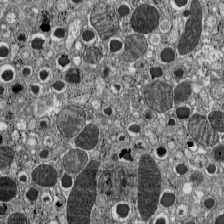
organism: C57BL Mouse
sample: Pancreatic islet